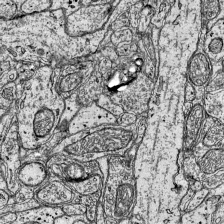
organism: Mouse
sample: Visual Cortex